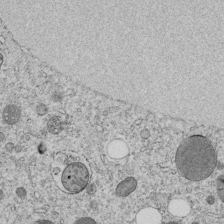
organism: C. elegans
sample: C. elegans embryo early stage